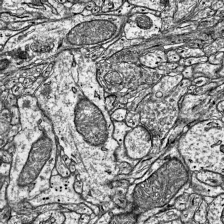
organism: Mouse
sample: Visual Cortex